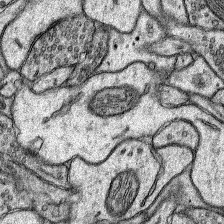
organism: Rat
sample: Hippocampus